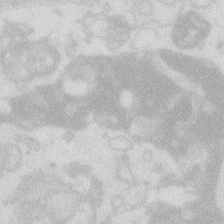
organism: Zebrafish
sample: Macrophage